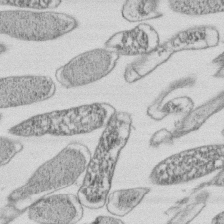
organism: E. coli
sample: Bacterial nucleoid